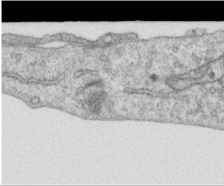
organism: Human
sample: Centriole in RPE cells